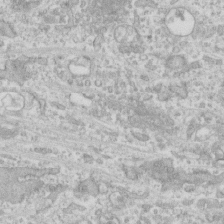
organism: Human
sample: CRL-1474